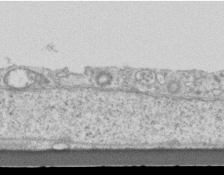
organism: Mouse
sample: Centriole in ependymal cells